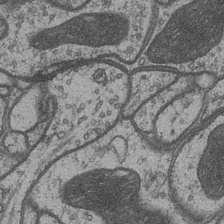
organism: Drosophila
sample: Optic medulla